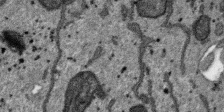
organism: Human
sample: Lung epithelial cells, uninfected (mock) control